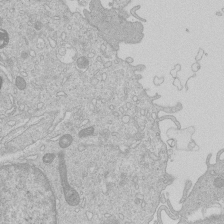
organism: Human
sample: Macrophage cells